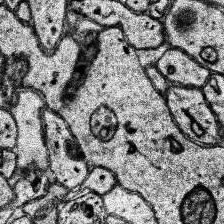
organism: Human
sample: Temporal Lobe